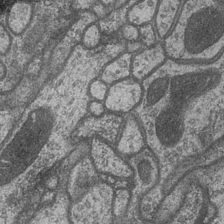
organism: Drosophila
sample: Optic medulla